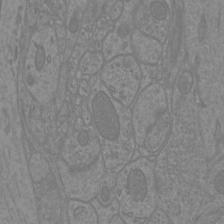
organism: Mouse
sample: Cortical neurons